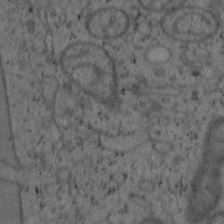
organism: Human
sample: HeLa cells